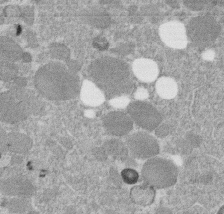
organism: C. elegans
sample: C. elegans embryo early stage